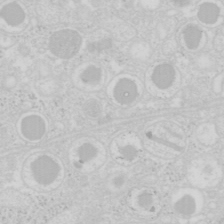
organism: Mouse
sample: Pancreas